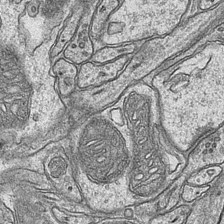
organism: Mouse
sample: CA1 Hippocampus